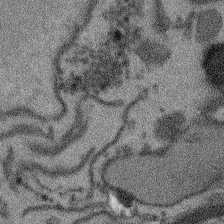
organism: Arabidopsis thaliana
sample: Root tip